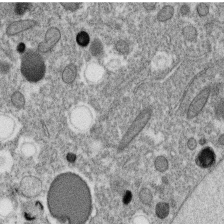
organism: C. elegans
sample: C. elegans oocyte; sperm cells